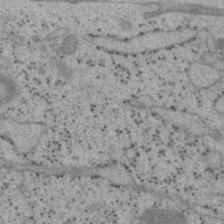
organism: Human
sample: HeLa cells